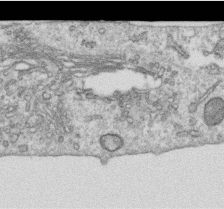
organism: Human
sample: Centriole in RPE cells